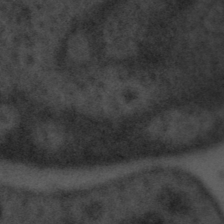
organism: Tuwongella immobilis